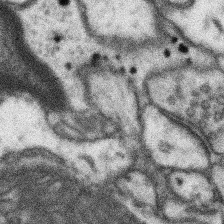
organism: Mouse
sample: Somatosensory cortex neuropil